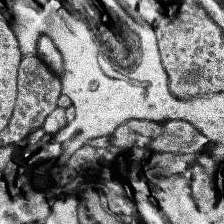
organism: Human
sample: Temporal Lobe